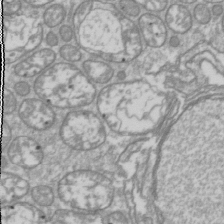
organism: Drosophila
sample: Cell division; meiosis; drosophila spermatocytes